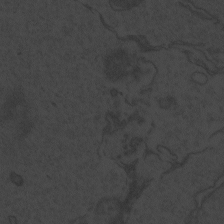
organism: Zebrafish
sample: Macrophage infected with Toxoplasma gondii